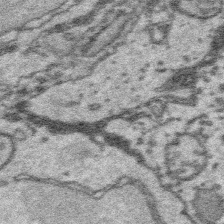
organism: Platynereis dumerilii